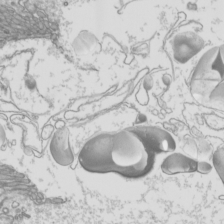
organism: Mouse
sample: Cilia; mouse epididymis